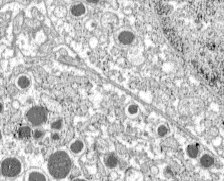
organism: C57BL Mouse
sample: Pancreatic islet